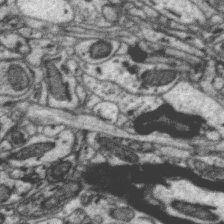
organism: Zebra finch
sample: Brain